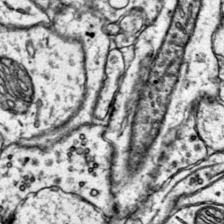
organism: Mouse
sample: Primary visual cortex